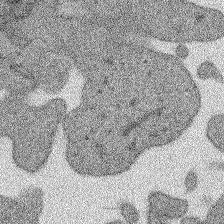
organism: Human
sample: HeLa cells